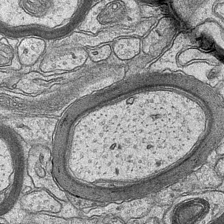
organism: Mouse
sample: CA1 Hippocampus